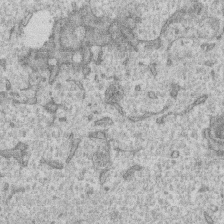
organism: Human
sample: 1205lu cells